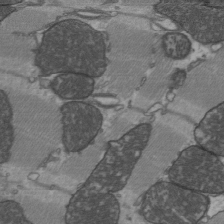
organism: C57BL Mouse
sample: Heart